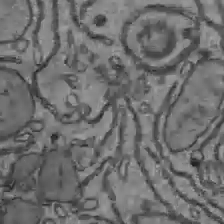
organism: C57BL Mouse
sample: Liver